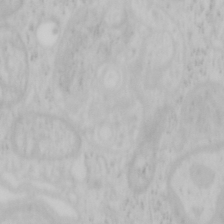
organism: Mouse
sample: OT-I killer T cells with ID8 ovarian cancer cells